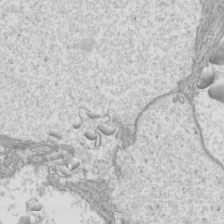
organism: Mouse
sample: Cilia; mouse epididymis